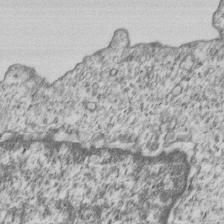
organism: Human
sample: MDA-MB-231 cells